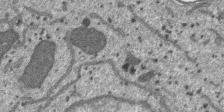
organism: Human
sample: Lung epithelial cells infected with SARS-CoV-2